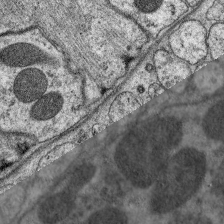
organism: C. elegans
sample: Pharynx